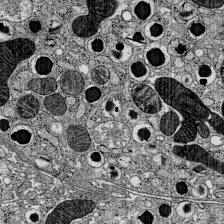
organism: C57BL Mouse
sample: Pancreatic islet